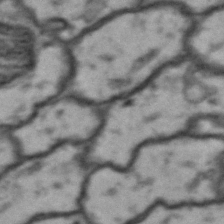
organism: Drosophila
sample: Brain